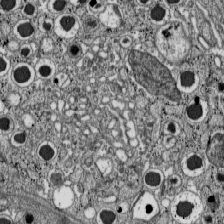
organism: C57BL Mouse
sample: Pancreatic islet